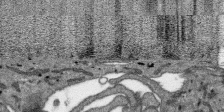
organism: Human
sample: Lung epithelial cells, uninfected (mock) control